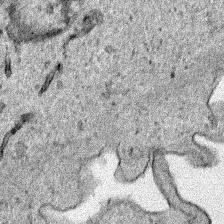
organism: Human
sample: Mitochondria in HCT116 cells